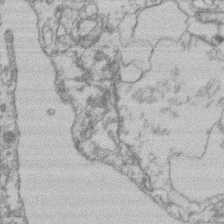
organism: Mouse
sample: T cell stromal cell synapse